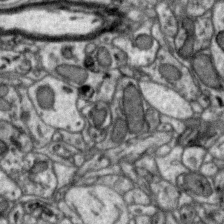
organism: Zebra finch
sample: Brain